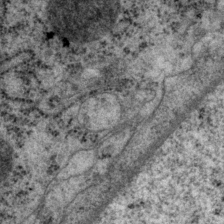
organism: P. pacificus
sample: Pharynx